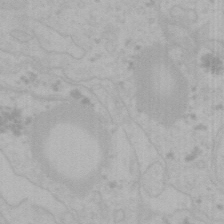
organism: Mouse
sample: Choroid plexus